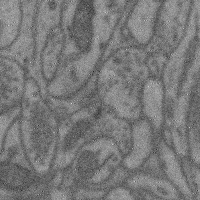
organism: Mouse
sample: Cerebral cortex